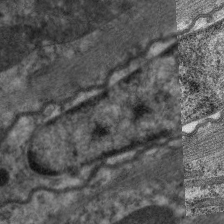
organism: C. elegans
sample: Pharynx